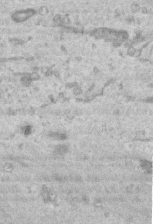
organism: Mouse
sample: Centriole in ependymal cells